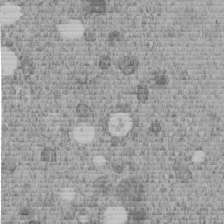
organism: C. elegans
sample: C. elegans embryo early stage